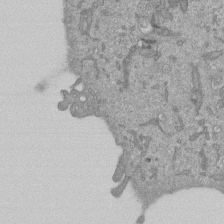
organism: Mouse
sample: ED-1 cell nuclei; centrioles